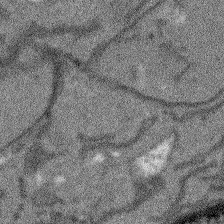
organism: Arabidopsis thaliana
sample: Root tip